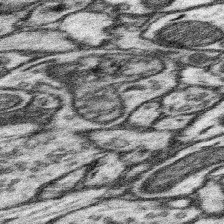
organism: Mouse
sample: Somatosensory cortex neuropil